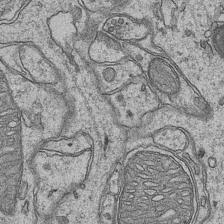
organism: Mouse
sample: CA1 Hippocampus